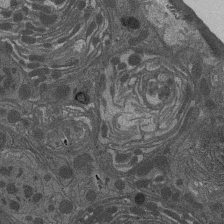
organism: Drosophila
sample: Antenna